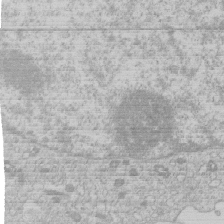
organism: Human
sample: Macrophage cells